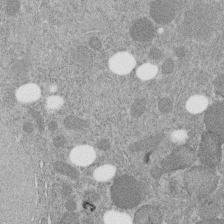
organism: C. elegans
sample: C. elegans embryo early stage